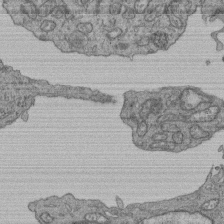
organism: Human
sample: Retinal organoid Rod and Cone cells